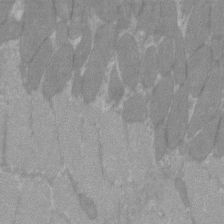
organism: C57BL Mouse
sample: Tibialis anterior muscle cell